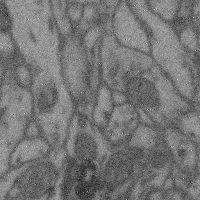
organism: Mouse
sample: Cerebral cortex